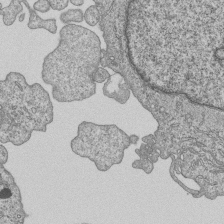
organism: Human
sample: MDA-MB-231 cells